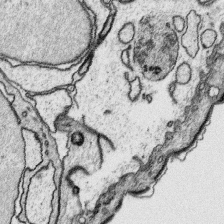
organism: Platynereis dumerilii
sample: Parapodia